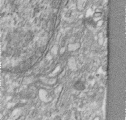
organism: Human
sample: Centriole in RPE cells